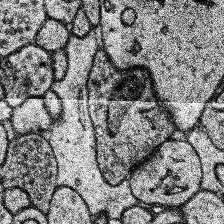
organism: Human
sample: Temporal Lobe